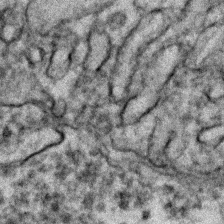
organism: Zebrafish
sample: Zebrafish embryo